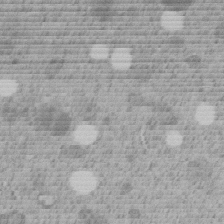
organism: C. elegans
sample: C. elegans embryo early stage